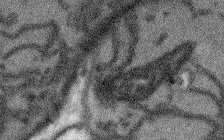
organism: Arabidopsis thaliana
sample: Root tip